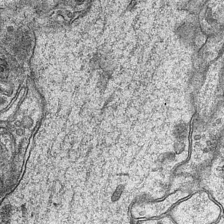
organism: Mouse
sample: CA1 Hippocampus